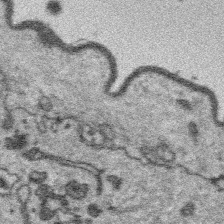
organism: Platynereis dumerilii